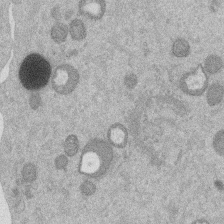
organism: Mouse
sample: Dividing mouse embryo 1 cell stage